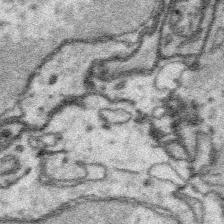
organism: Platynereis dumerilii